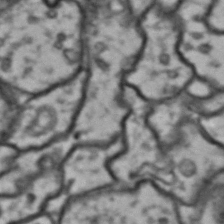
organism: Drosophila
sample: Brain